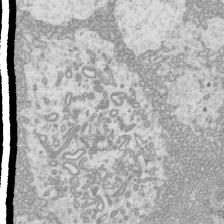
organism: Mouse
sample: Cilia; mouse epididymis